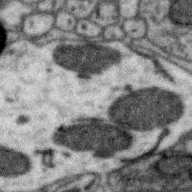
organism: Zebra finch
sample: Brain